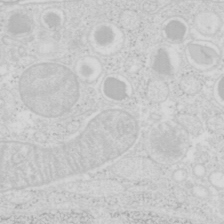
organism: Mouse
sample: Pancreas